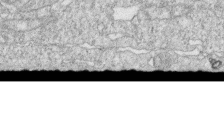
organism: Human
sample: HeLa cell HIV synapse